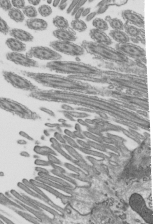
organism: Mouse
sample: Mouse epididymis efferent ductule cilia